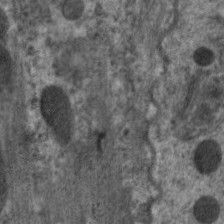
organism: C. elegans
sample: Pharynx